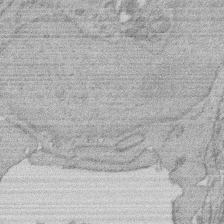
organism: Rat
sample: Salivary granule